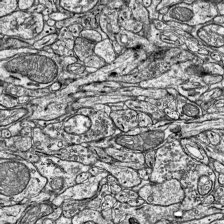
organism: Mouse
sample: Visual Cortex